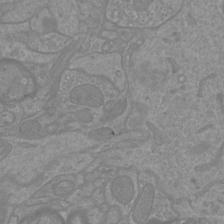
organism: Mouse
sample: Cortical neurons